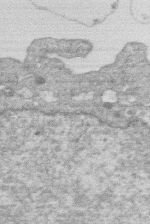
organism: Human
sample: Macrophage cells